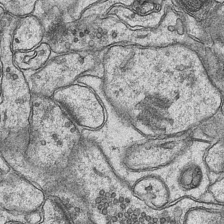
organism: Mouse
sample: CA1 Hippocampus